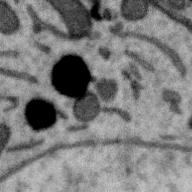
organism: Zebra finch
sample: Brain